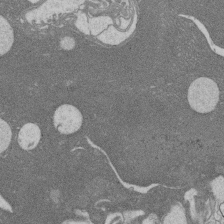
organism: Rat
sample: Salivary granule